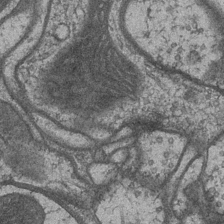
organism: Drosophila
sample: Optic medulla